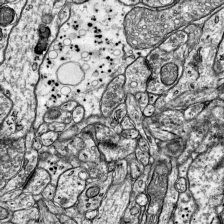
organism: Mouse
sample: Visual Cortex